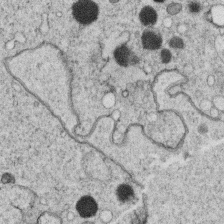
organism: C. elegans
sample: C. elegans oocyte; sperm cells